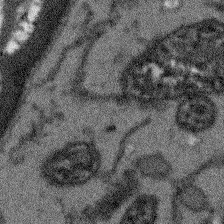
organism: Arabidopsis thaliana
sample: Root tip